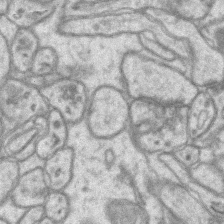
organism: Mouse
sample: CA1 Hippocampus